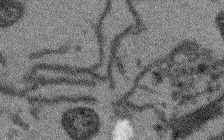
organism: Arabidopsis thaliana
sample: Root tip